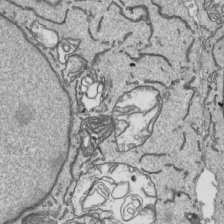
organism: Human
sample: Mitochondria in HCT116 cells